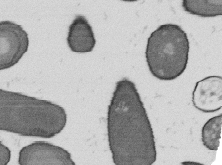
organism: B. subtilis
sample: Bacterial spore